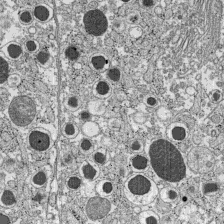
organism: C57BL Mouse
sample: Pancreatic islet